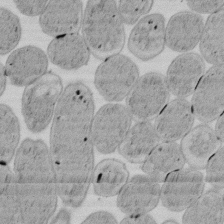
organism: E. coli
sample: Bacterial nucleoid